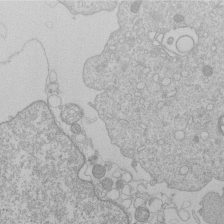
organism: Human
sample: Macrophage cells